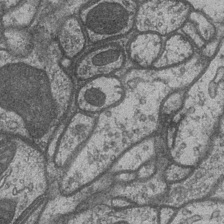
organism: Drosophila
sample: Optic medulla